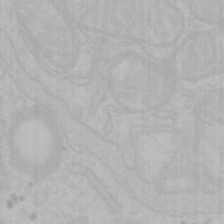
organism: Mouse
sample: Choroid plexus